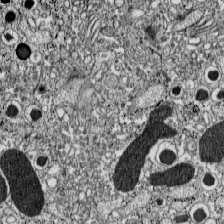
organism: C57BL Mouse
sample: Pancreatic islet